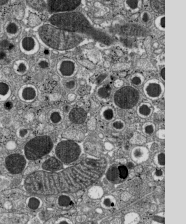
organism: C57BL Mouse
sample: Pancreatic islet